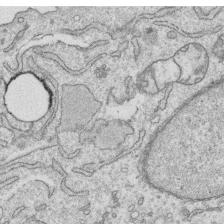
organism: Human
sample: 1205lu cells